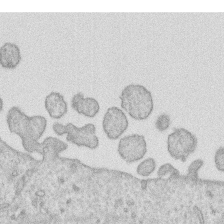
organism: Human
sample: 1205lu cells